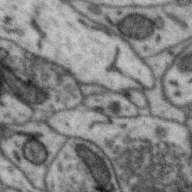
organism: Zebra finch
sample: Brain